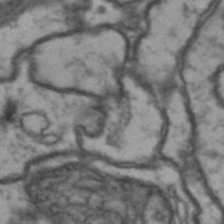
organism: Drosophila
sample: Brain